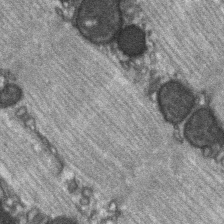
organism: C57BL Mouse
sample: Soleus